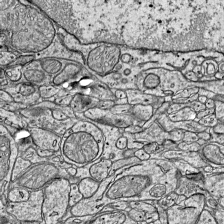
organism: Mouse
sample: Visual Cortex